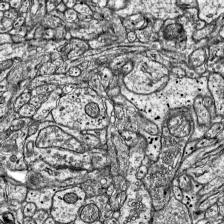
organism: Mouse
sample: Visual Cortex